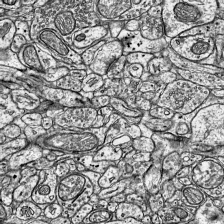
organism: Mouse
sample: Visual Cortex